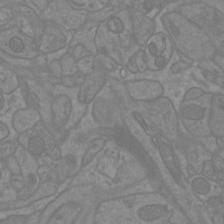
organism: Mouse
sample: Cortical neurons